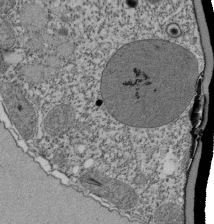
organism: Tetrahymena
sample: Cilia in tetrahymena